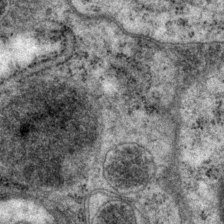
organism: P. pacificus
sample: Pharynx